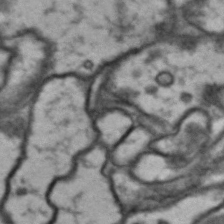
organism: Drosophila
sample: Brain